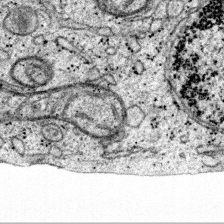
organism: Human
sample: HeLa cells